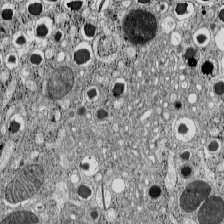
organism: C57BL Mouse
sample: Pancreatic islet